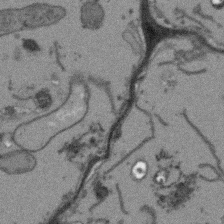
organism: Arabidopsis thaliana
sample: Root tip